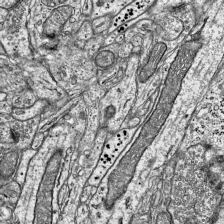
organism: Mouse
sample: Visual Cortex